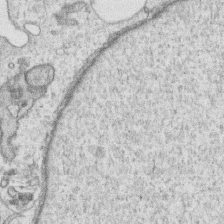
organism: Human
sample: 1205lu cells